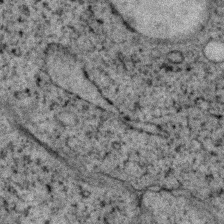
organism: Zebrafish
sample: Zebrafish embryo